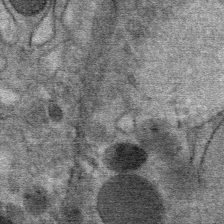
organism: Mouse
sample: Mouse Salivary gland